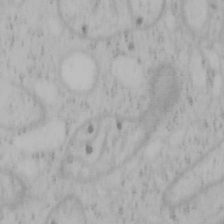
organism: Mouse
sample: OT-I killer T cells with ID8 ovarian cancer cells